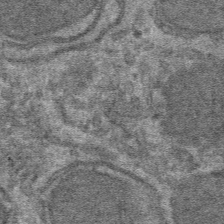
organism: Mouse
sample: Mouse hepatocytes